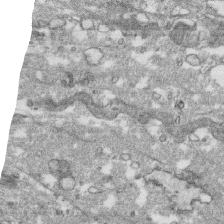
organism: Human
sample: CRL-1474